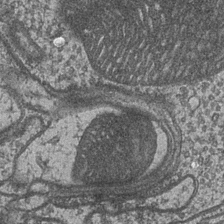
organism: Drosophila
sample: Optic medulla